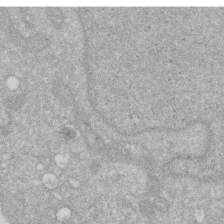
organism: Human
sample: HIV infected U937 cells